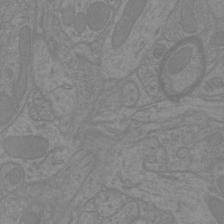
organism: Mouse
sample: Cortical neurons